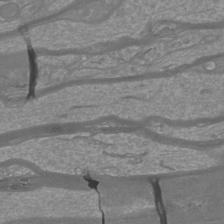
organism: Mouse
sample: Cortical neurons